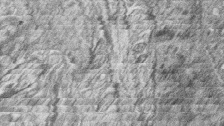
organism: Zebrafish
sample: synaptic ribbons in rod cells and cone cells